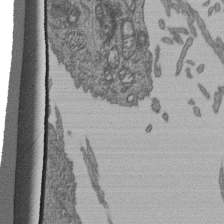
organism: Human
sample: Retinal organoid Rod and Cone cells